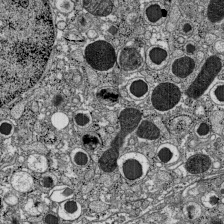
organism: C57BL Mouse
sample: Pancreatic islet